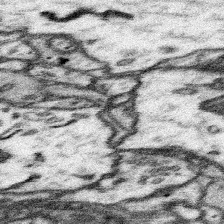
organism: Mouse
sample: Somatosensory cortex neuropil